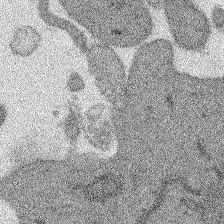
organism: Human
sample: HeLa cells